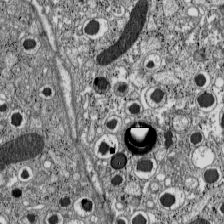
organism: C57BL Mouse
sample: Pancreatic islet